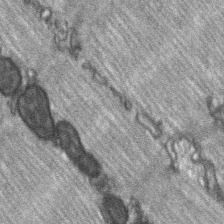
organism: C57BL Mouse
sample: Soleus